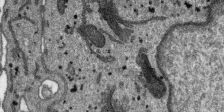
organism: Human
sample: Lung epithelial cells, uninfected (mock) control